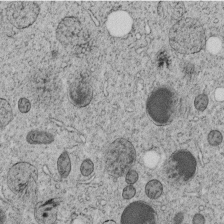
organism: C. elegans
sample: C. elegans embryo early stage